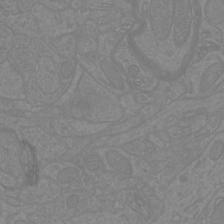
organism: Mouse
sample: Cortical neurons